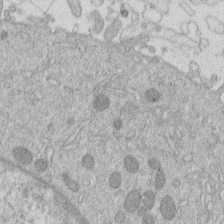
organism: Human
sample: Macrophage cells